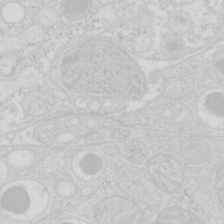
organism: Mouse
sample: Pancreas